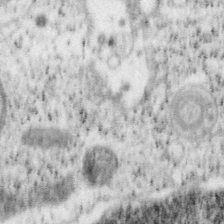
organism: Mouse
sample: OT-I killer T cells with ID8 ovarian cancer cells